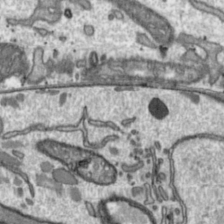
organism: Toxoplasma gondii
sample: Parasites in a vacuole inside a host cell